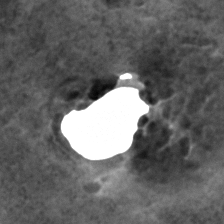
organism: C. elegans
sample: C. elegans embryo